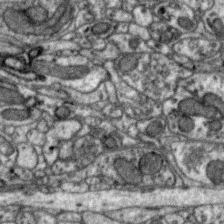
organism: Zebra finch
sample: Brain